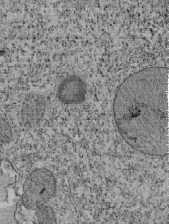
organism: Tetrahymena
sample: Cilia in tetrahymena